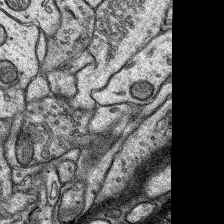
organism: Rat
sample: Hippocampus